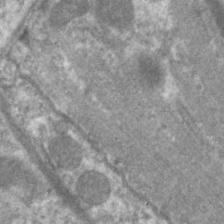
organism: C. elegans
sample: Pharynx